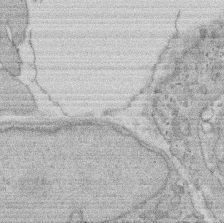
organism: Rat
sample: Salivary granule